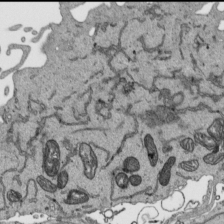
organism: Human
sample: Mitochondria in HCT116 cells